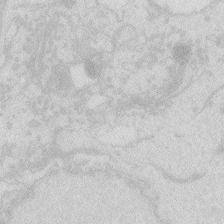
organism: Zebrafish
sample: Macrophage